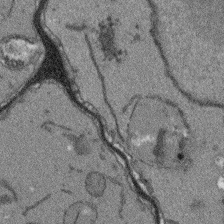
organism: Arabidopsis thaliana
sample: Root tip